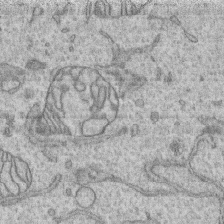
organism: Human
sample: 1205lu cells